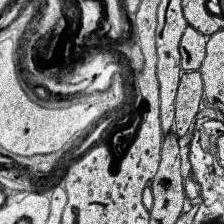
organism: Human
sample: Temporal Lobe